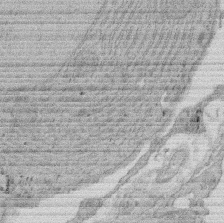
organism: Rat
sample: Salivary granule